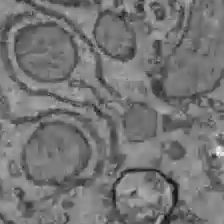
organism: C57BL Mouse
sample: Liver